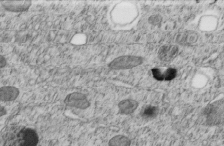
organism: C. elegans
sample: C. elegans embryo early stage